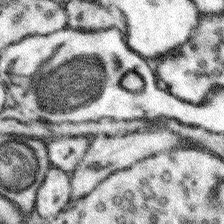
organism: Mouse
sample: Somatosensory cortex neuropil